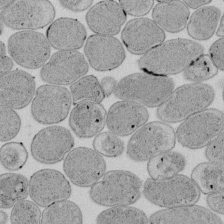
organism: E. coli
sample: Bacterial nucleoid